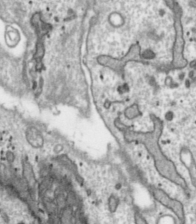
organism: Toxoplasma gondii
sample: Parasites in a vacuole inside a host cell